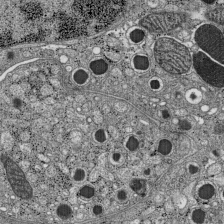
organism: C57BL Mouse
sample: Pancreatic islet